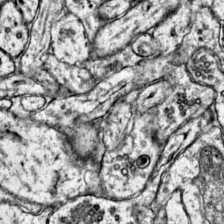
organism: Mouse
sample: Primary visual cortex